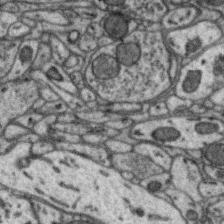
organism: Zebra finch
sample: Brain